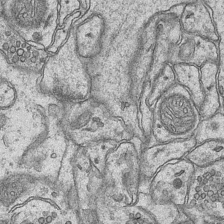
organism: Mouse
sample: CA1 Hippocampus